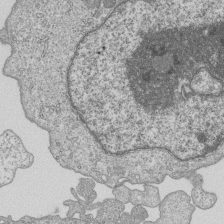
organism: Human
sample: MDA-MB-231 cells